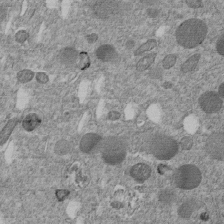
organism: C. elegans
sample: C. elegans embryo early stage